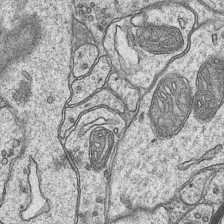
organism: Mouse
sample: CA1 Hippocampus